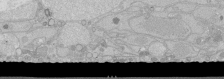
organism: Human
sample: Caco-2 cells